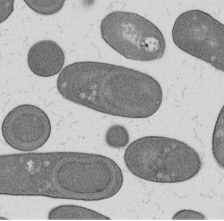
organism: B. subtilis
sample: Bacterial spore